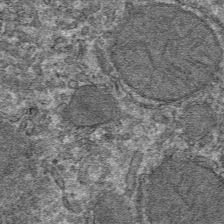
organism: Mouse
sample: Mouse hepatocytes